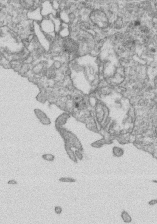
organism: Human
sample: HeLa cell HIV synapse